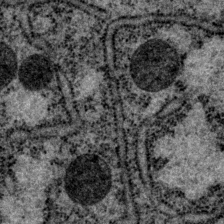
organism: P. pacificus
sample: Pharynx